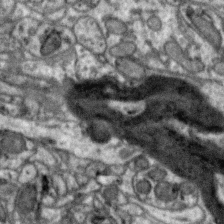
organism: Zebra finch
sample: Brain